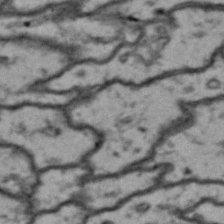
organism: Drosophila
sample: Brain